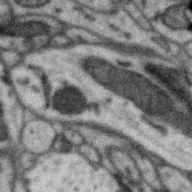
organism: Zebra finch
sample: Brain